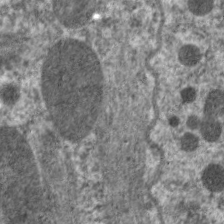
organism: C. elegans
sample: Pharynx